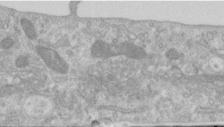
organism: Human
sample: Centriole in RPE cells